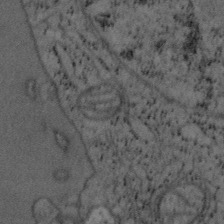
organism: Human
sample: HeLa cells